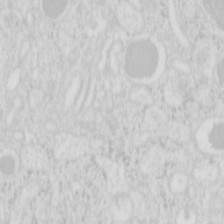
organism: Mouse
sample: Pancreas